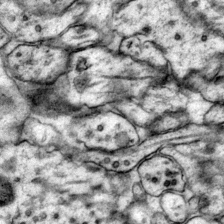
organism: Mouse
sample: Primary visual cortex